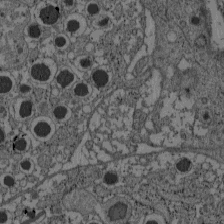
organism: C57BL Mouse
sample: Pancreatic islet